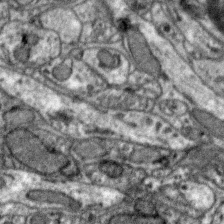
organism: Zebra finch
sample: Brain